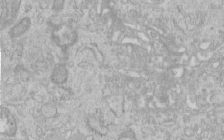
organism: Human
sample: Centriole in RPE cells